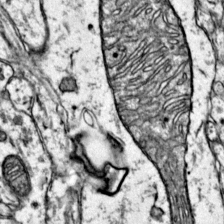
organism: Mouse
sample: Primary visual cortex